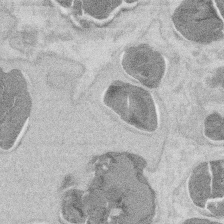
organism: Mouse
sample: T cell stromal cell synapse